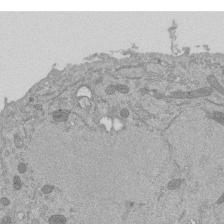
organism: Mouse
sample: ED-1 cell nuclei; centrioles